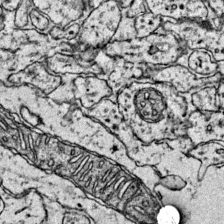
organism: Mouse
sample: Primary visual cortex